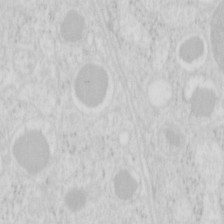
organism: Mouse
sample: Pancreas